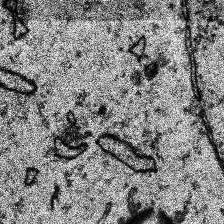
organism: Human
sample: Temporal Lobe